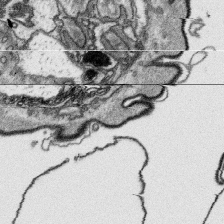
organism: Platynereis dumerilii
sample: Parapodia